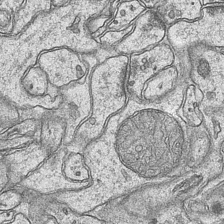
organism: Mouse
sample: CA1 Hippocampus